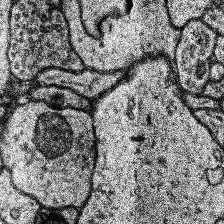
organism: Human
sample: Temporal Lobe